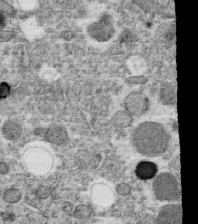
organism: C. elegans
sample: C. elegans oocyte; sperm cells